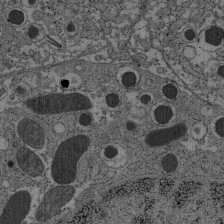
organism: C57BL Mouse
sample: Pancreatic islet